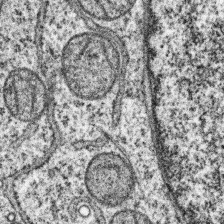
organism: Human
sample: HeLa cells